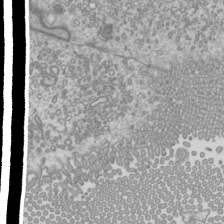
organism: Mouse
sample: Cilia; mouse epididymis